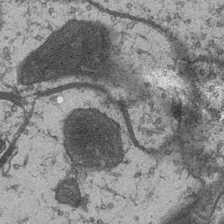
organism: Drosophila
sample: Optic medulla